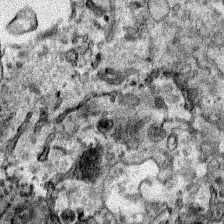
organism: Human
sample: Mitochondria in HCT116 cells